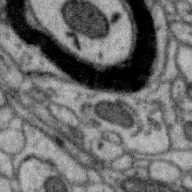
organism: Zebra finch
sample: Brain